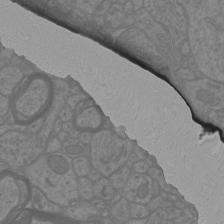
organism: Mouse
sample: Cortical neurons